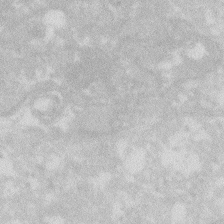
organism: Zebrafish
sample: Macrophage